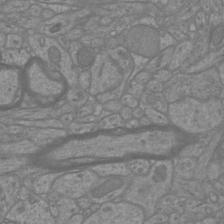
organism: Mouse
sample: Cortical neurons